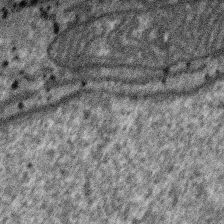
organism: Human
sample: Lung epithelial cells infected with SARS-CoV-2